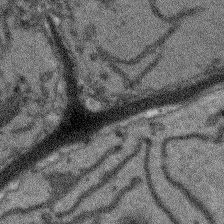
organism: Arabidopsis thaliana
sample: Root tip